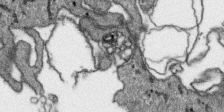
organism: Human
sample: Lung epithelial cells, uninfected (mock) control